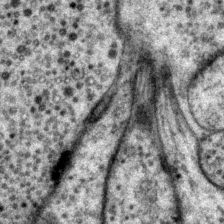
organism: P. pacificus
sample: Pharynx